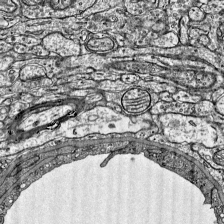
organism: Mouse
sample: Visual Cortex